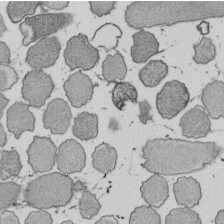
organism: E. coli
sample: Bacterial nucleoid